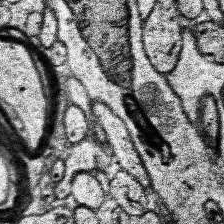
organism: Human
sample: Temporal Lobe